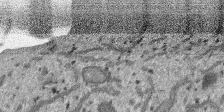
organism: Human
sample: Lung epithelial cells infected with SARS-CoV-2